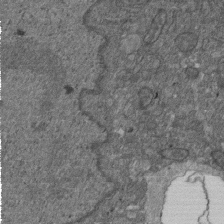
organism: Drosophila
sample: Nephrocyte